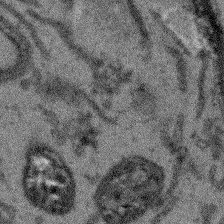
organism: Arabidopsis thaliana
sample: Root tip